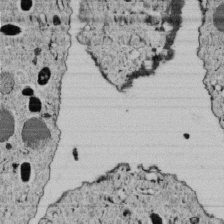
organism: C. elegans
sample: C. elegans embryo early stage